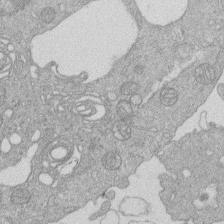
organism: Human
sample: Macrophage cells